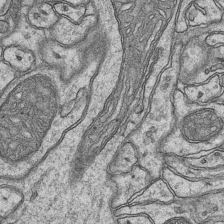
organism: Mouse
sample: CA1 Hippocampus